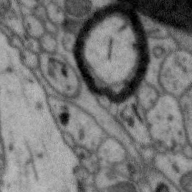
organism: Zebra finch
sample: Brain